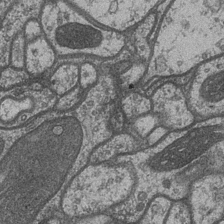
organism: Drosophila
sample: Optic medulla